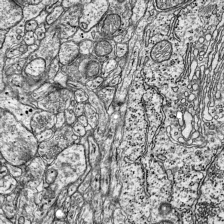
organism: Mouse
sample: Visual Cortex